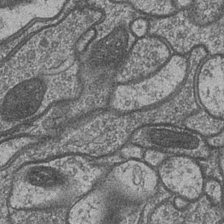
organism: Drosophila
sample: Optic medulla